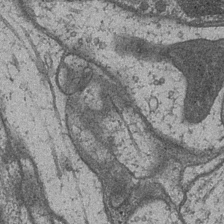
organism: Drosophila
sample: Optic medulla